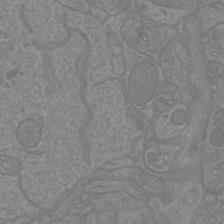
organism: Mouse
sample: Cortical neurons